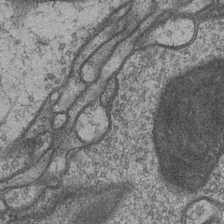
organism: Drosophila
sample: Optic medulla